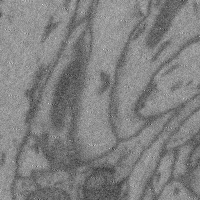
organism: Mouse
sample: Cerebral cortex